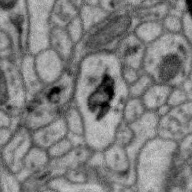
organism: Zebra finch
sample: Brain